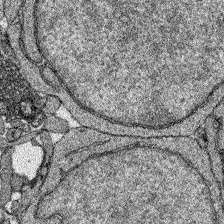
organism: Zebrafish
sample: Larval olfactory bulb